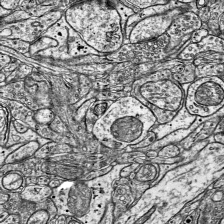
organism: Mouse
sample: Visual Cortex